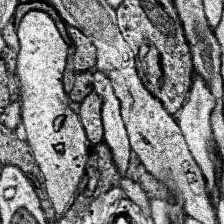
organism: Human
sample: Temporal Lobe